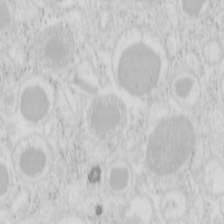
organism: Mouse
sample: Pancreas